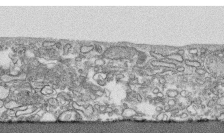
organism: Human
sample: CRL-1474